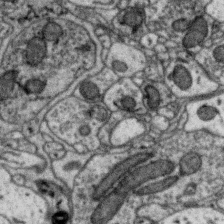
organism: Zebra finch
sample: Brain